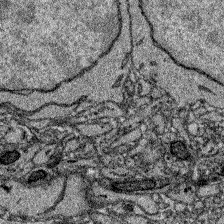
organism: Zebrafish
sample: Larval olfactory bulb